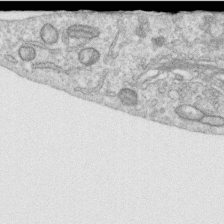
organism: Human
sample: Centriole in RPE cells